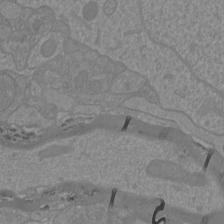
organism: Mouse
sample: Cortical neurons